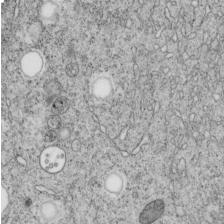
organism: C. elegans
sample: C. elegans embryo early stage